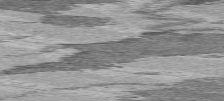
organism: C57BL Mouse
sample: Heart